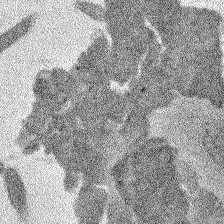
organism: Human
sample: HeLa cells